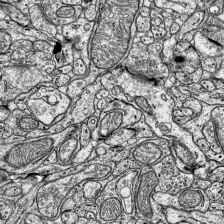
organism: Mouse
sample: Visual Cortex